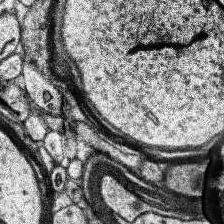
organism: Human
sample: Temporal Lobe